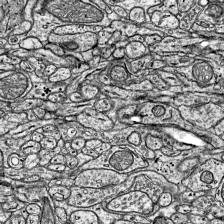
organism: Mouse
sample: Visual Cortex